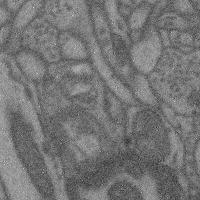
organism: Mouse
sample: Cerebral cortex